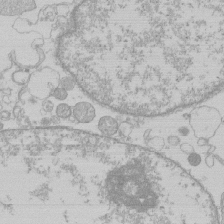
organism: Human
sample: Macrophage cells